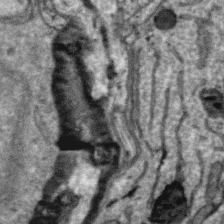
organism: Zebra finch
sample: Brain